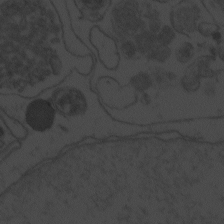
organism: Zebrafish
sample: Macrophage infected with Toxoplasma gondii